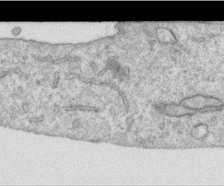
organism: Human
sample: Centriole in RPE cells